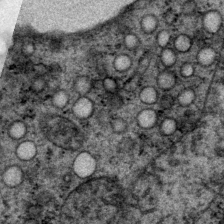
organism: P. pacificus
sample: Pharynx